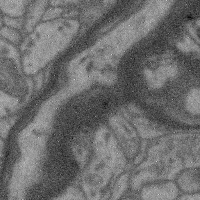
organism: Mouse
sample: Cerebral cortex